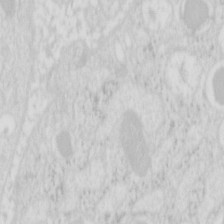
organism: Mouse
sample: Pancreas